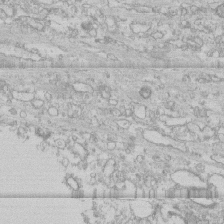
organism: Human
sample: CRL-1474